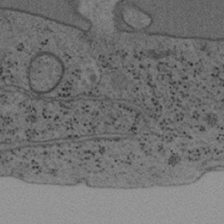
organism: Human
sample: HeLa cells